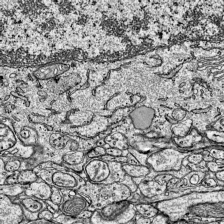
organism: Mouse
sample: Visual Cortex